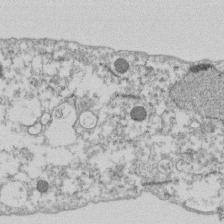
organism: Dictyostelium discoideum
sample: Dictyostelium multivesicular bodies